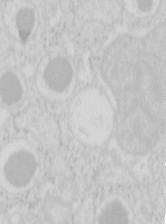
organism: Mouse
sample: Pancreas